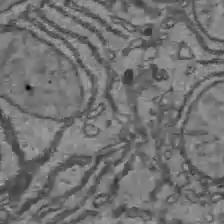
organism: C57BL Mouse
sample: Liver